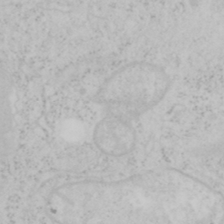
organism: Mouse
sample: OT-I killer T cells with ID8 ovarian cancer cells